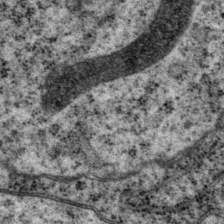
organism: P. pacificus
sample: Pharynx